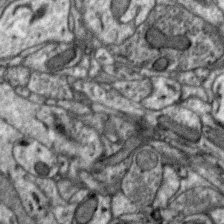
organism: Zebra finch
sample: Brain